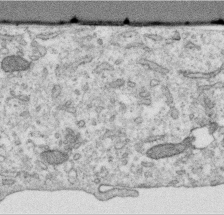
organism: Human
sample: Centriole in RPE cells